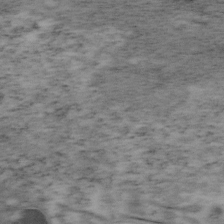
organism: Mouse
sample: OT-I killer T cells with ID8 ovarian cancer cells